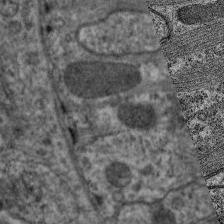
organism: C. elegans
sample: Pharynx